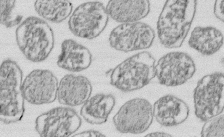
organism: E. coli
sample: Bacterial nucleoid